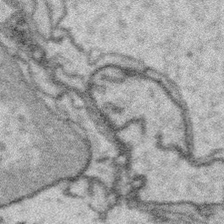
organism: Platynereis dumerilii